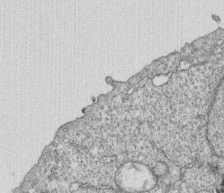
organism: Human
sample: HeLa cell HIV synapse